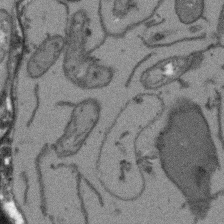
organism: Arabidopsis thaliana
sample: Root tip